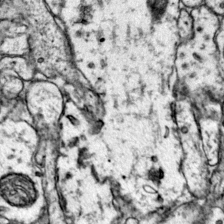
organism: Mouse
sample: Primary visual cortex